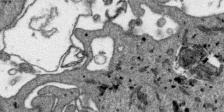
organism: Human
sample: Lung epithelial cells, uninfected (mock) control